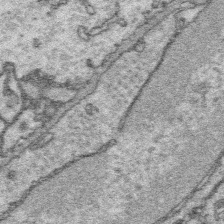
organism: Platynereis dumerilii